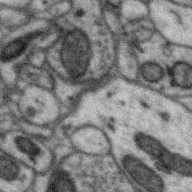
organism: Zebra finch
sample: Brain